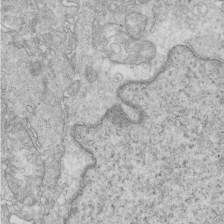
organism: Mouse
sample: Multiciliated cells